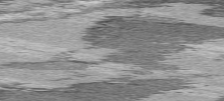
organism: C57BL Mouse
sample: Heart